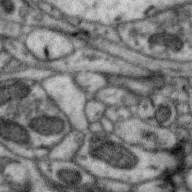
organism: Zebra finch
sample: Brain